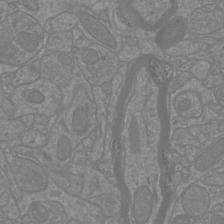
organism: Mouse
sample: Cortical neurons